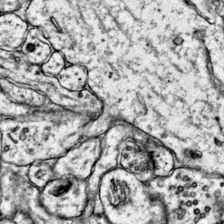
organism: Mouse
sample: Primary visual cortex